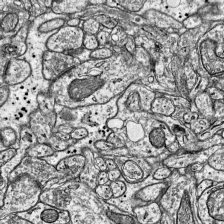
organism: Mouse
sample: Visual Cortex